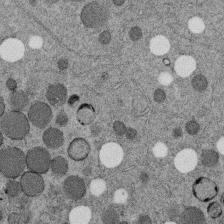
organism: C. elegans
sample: C. elegans embryo early stage